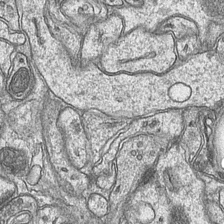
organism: Mouse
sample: CA1 Hippocampus